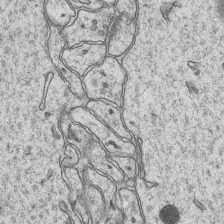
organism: Mouse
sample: CA1 Hippocampus